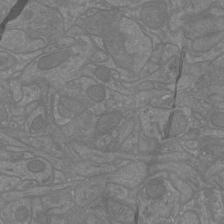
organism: Mouse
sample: Cortical neurons